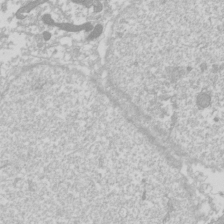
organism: Drosophila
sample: Cell division; meiosis; drosophila spermatocytes